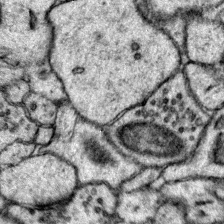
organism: Mouse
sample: Primary visual cortex